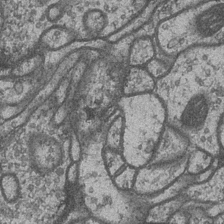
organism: Drosophila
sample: Optic medulla